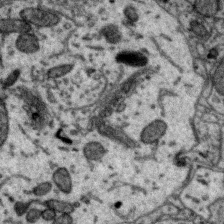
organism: Zebra finch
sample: Brain